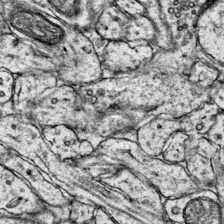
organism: Mouse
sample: Primary visual cortex